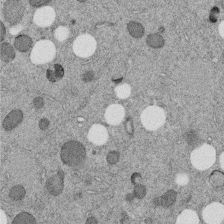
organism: C. elegans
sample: C. elegans embryo early stage